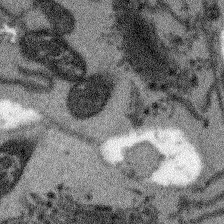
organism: Arabidopsis thaliana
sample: Root tip